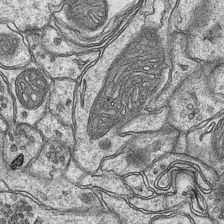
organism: Mouse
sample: CA1 Hippocampus